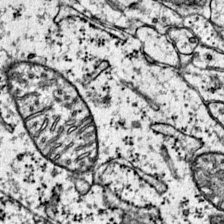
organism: Mouse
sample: Primary visual cortex